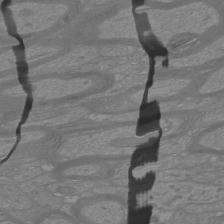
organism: Mouse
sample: Cortical neurons